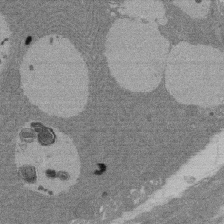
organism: Rat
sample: Salivary granule